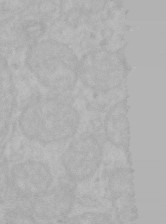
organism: Mouse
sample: Choroid plexus